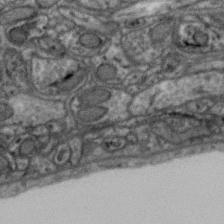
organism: Zebra finch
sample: Brain